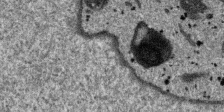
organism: Human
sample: Lung epithelial cells, uninfected (mock) control